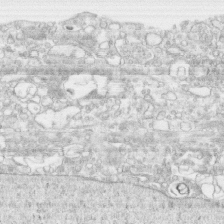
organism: Human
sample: CRL-1474